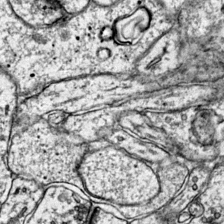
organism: Mouse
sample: Primary visual cortex